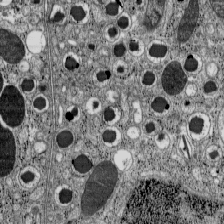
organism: C57BL Mouse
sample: Pancreatic islet